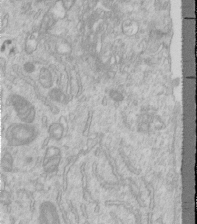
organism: Human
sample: Centriole in RPE cells